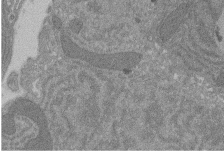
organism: Rat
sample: Salivary granule